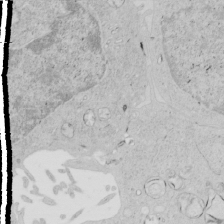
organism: Human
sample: Mitochondria in HCT116 cells